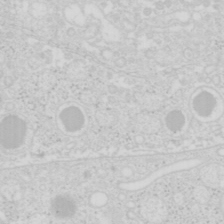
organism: Mouse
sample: Pancreas